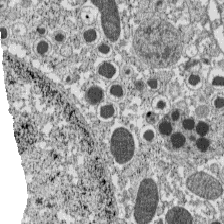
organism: C57BL Mouse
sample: Pancreatic islet